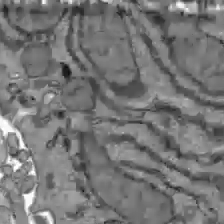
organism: C57BL Mouse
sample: Liver